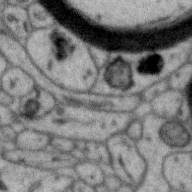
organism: Zebra finch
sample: Brain